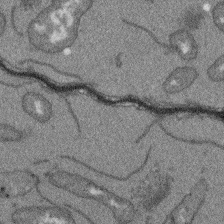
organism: Arabidopsis thaliana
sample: Root tip